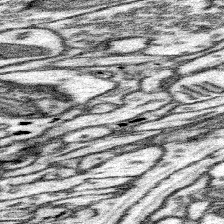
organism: Mouse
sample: Somatosensory cortex neuropil